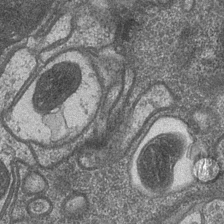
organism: Drosophila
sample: Optic medulla